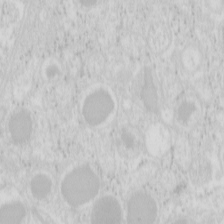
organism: Mouse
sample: Pancreas